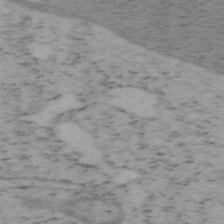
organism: Mouse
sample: OT-I killer T cells with ID8 ovarian cancer cells